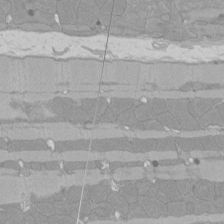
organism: Rat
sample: Left ventricle